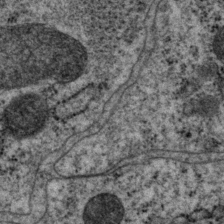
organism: P. pacificus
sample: Pharynx